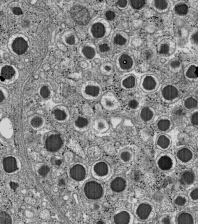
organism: C57BL Mouse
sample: Pancreatic islet